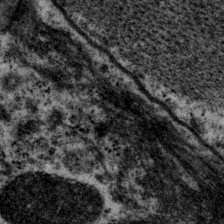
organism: P. pacificus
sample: Pharynx